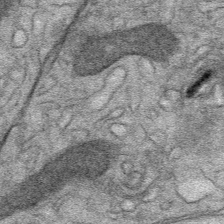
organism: Mouse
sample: Mouse Salivary gland